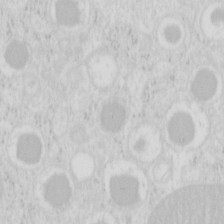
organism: Mouse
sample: Pancreas